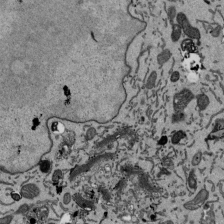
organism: Mouse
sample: ED-1 cell nuclei; centrioles